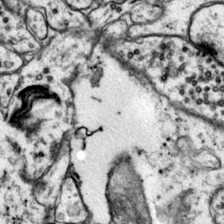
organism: Mouse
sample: Primary visual cortex